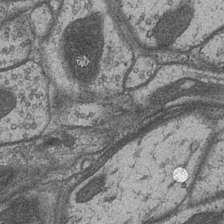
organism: Drosophila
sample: Optic medulla